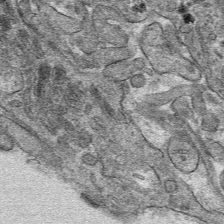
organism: Mouse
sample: Mouse hepatocytes